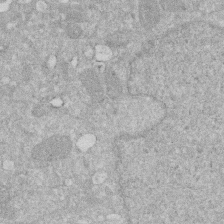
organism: Human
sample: HIV infected U937 cells